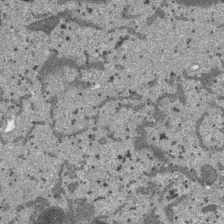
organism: Human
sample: Lung epithelial cells infected with SARS-CoV-2